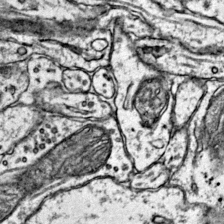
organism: Mouse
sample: Primary visual cortex